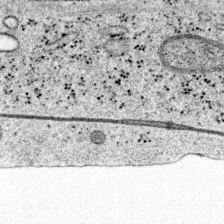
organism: Human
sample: HeLa cells